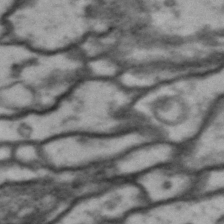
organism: Drosophila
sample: Brain